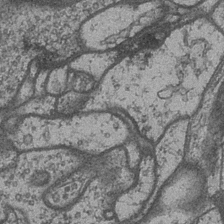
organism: Drosophila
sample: Optic medulla